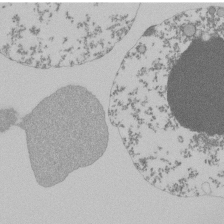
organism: Mouse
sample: Activated Pmel transgenic CD8+ T Cells